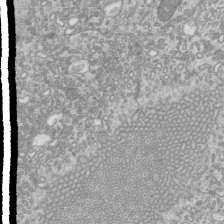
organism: Mouse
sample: Cilia; mouse epididymis